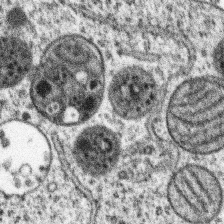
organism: Human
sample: HeLa cells